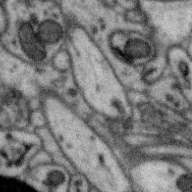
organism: Zebra finch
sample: Brain